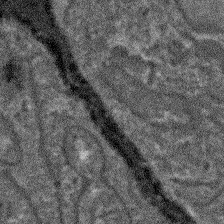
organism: Arabidopsis thaliana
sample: Root tip